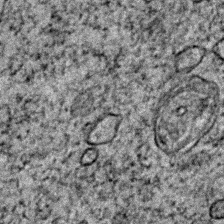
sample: Trachea